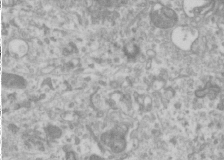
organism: Human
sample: Cilia; basal body in RPE cells